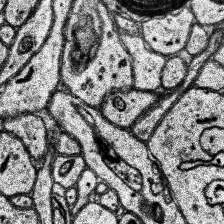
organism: Human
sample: Temporal Lobe